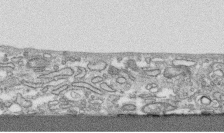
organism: Human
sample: CRL-1474